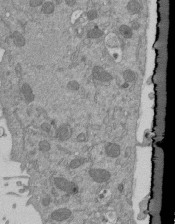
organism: Mouse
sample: ED-1 cell nuclei; centrioles